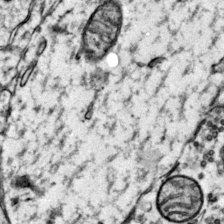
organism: Mouse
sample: Primary visual cortex